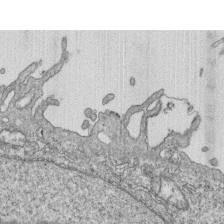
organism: Human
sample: HeLa cell HIV synapse